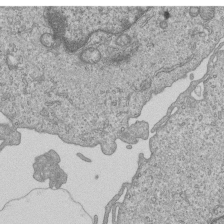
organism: Human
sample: MDA-MB-231 cells